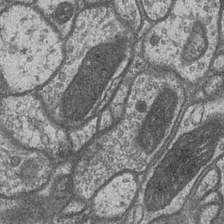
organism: Drosophila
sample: Optic medulla